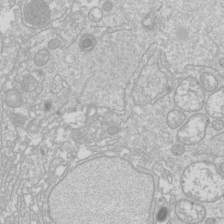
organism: Drosophila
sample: Cell division; meiosis; drosophila spermatocytes